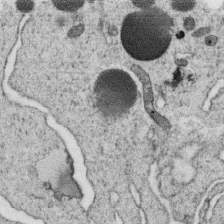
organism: C. elegans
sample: C. elegans oocyte; sperm cells